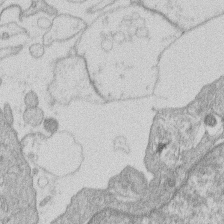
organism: Human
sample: Macrophage cells